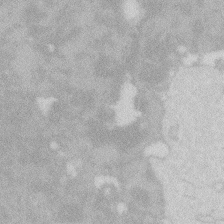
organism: Zebrafish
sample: Macrophage